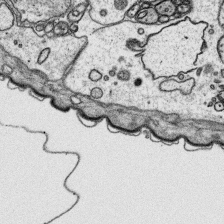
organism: Platynereis dumerilii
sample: Parapodia